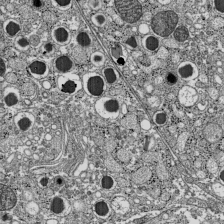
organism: C57BL Mouse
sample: Pancreatic islet